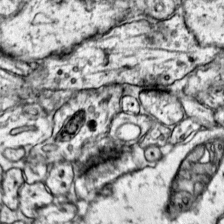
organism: Mouse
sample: Primary visual cortex